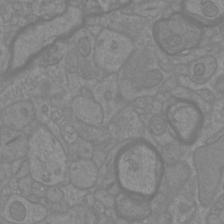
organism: Mouse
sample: Cortical neurons